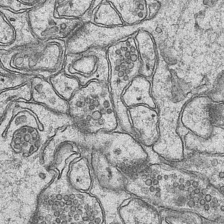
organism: Mouse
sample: CA1 Hippocampus